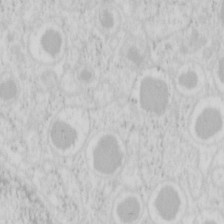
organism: Mouse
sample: Pancreas